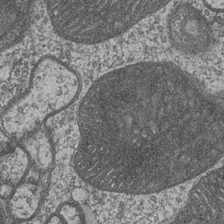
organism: Drosophila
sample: Optic medulla